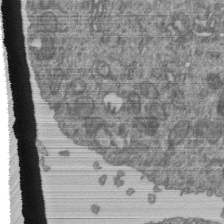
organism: Human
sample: Retinal organoid Rod and Cone cells